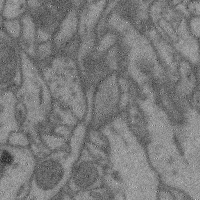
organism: Mouse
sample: Cerebral cortex